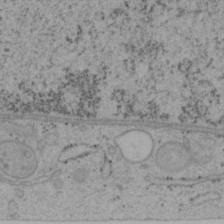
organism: Human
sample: HeLa cells